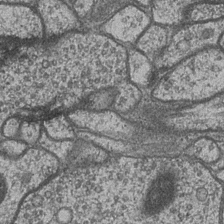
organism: Drosophila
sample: Optic medulla